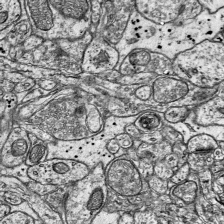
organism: Mouse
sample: Visual Cortex